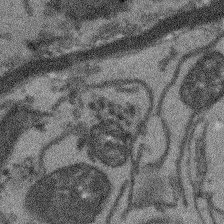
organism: Arabidopsis thaliana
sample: Root tip